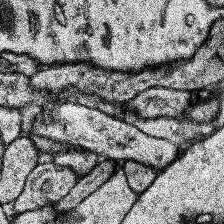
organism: Human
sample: Temporal Lobe